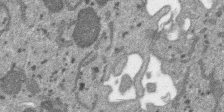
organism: Human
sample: Lung epithelial cells infected with SARS-CoV-2